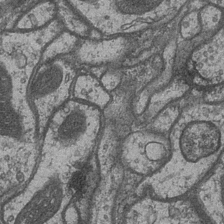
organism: Drosophila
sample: Optic medulla